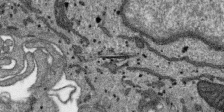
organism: Human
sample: Lung epithelial cells, uninfected (mock) control